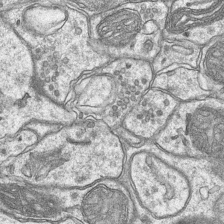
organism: Mouse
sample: CA1 Hippocampus